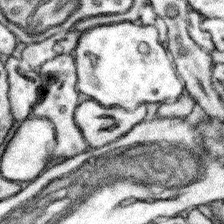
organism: Mouse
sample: Somatosensory cortex neuropil